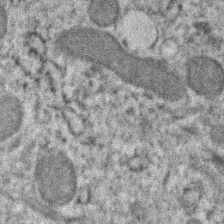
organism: Human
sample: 1205lu cells